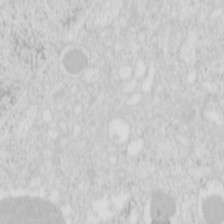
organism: Mouse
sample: Pancreas